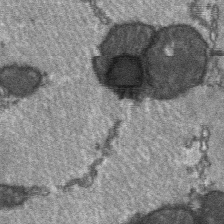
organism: C57BL Mouse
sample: Soleus